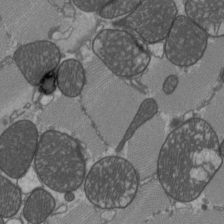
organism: C57BL Mouse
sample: Heart